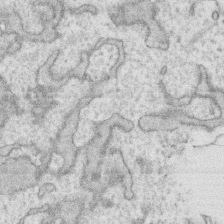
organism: Human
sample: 1205lu cells